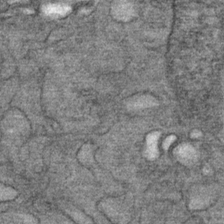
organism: Mouse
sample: Mouse Salivary gland